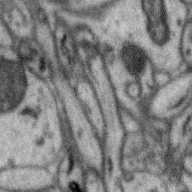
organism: Zebra finch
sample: Brain